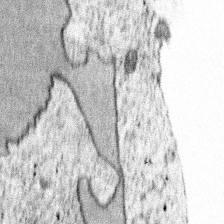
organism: Human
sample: HeLa cells